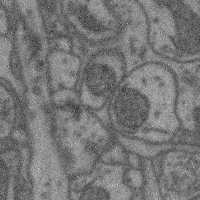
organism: Mouse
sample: Cerebral cortex